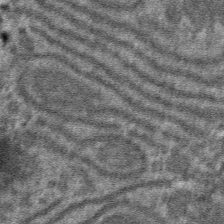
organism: Mouse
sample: Mouse hepatocytes